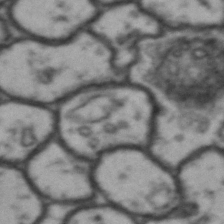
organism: Drosophila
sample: Brain